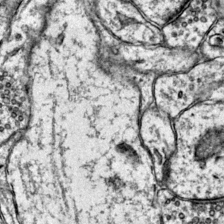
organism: Mouse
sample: Primary visual cortex